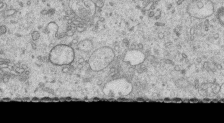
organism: Human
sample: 1205lu cells